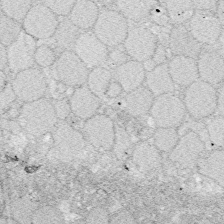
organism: Zebrafish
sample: Whole-Brain